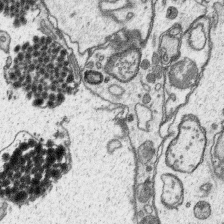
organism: Platynereis dumerilii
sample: Parapodia